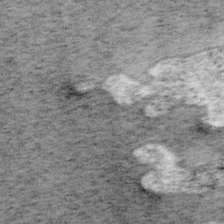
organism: Mouse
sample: OT-I killer T cells with ID8 ovarian cancer cells